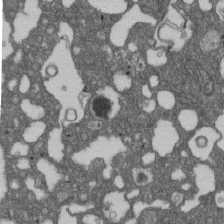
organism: Drosophila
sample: Nephrocyte